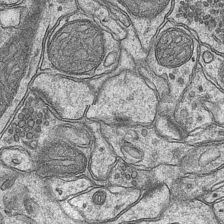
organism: Mouse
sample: CA1 Hippocampus